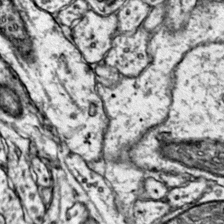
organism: Mouse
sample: Primary visual cortex